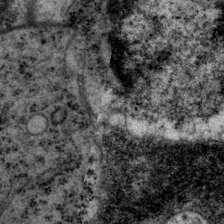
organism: P. pacificus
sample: Pharynx